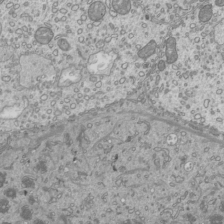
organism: Mouse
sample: Cilia; mouse epididymis